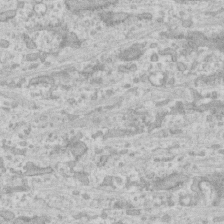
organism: Human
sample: CRL-1474